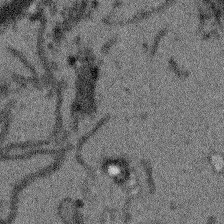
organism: Arabidopsis thaliana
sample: Root tip